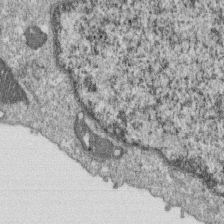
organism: African green monkey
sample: Vero E6 cells infected with SARS-CoV-2